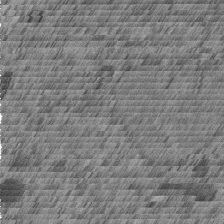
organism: C. elegans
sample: C. elegans embryo early stage